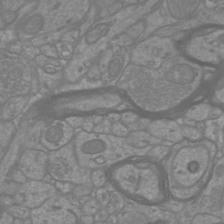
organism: Mouse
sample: Cortical neurons